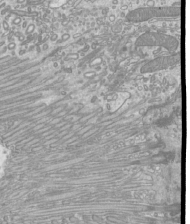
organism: Mouse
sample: Cilia; mouse epididymis